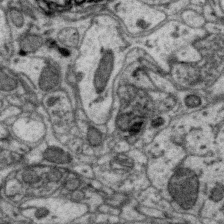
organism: Zebra finch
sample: Brain